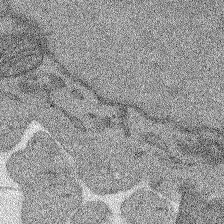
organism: Human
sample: HeLa cells